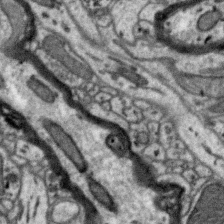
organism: Zebra finch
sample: Brain